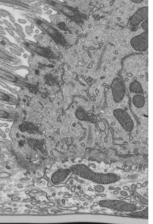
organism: Mouse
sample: Mouse epididymis efferent ductule cilia